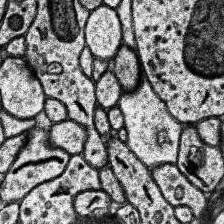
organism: Human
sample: Temporal Lobe